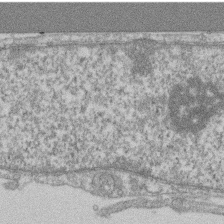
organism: Mouse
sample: T cell stromal cell synapse